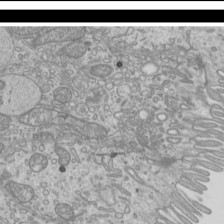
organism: Mouse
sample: Cilia; mouse epididymis